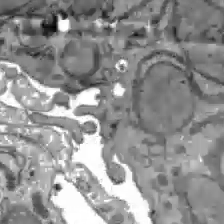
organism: C57BL Mouse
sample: Liver